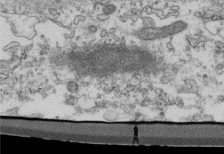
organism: Mouse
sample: Cilia; retinal pigment epithelium